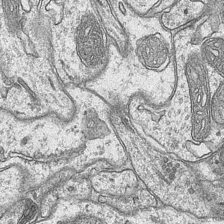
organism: Mouse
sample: CA1 Hippocampus